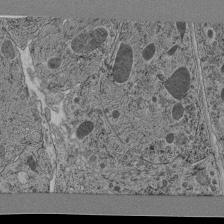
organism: C. elegans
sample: C. elegans pharynx